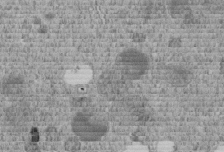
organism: C. elegans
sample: C. elegans embryo early stage